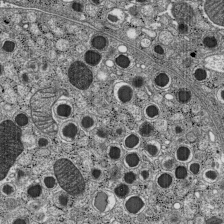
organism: C57BL Mouse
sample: Pancreatic islet